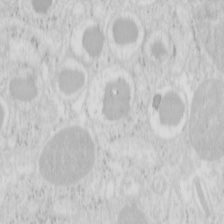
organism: Mouse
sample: Pancreas